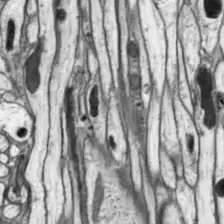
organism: Drosophila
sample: Optic lobe